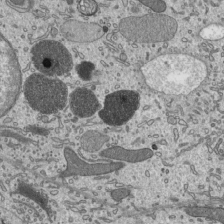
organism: Mouse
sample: Mouse epididymis efferent ductule cilia